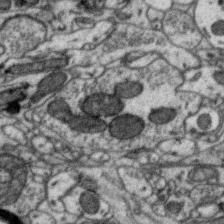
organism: Zebra finch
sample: Brain